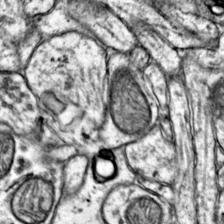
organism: Mouse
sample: Primary visual cortex